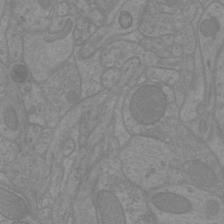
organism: Mouse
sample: Cortical neurons